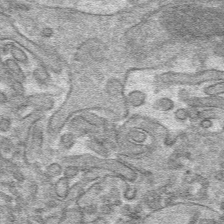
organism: Mouse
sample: Mouse hepatocytes